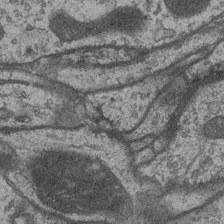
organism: Drosophila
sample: Optic medulla